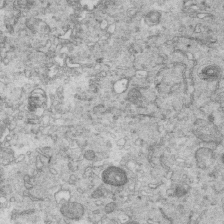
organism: Mouse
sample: Multiciliated cells